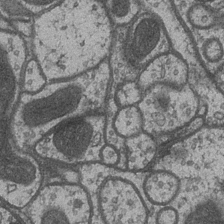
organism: Drosophila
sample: Optic medulla